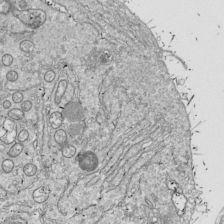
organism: Drosophila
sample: Cell division; meiosis; drosophila spermatocytes